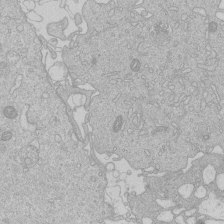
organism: Human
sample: Macrophage cells